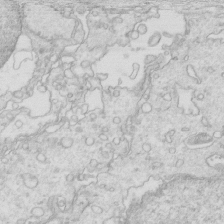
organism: Mouse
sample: Multiciliated cells